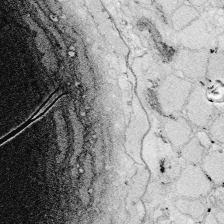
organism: Zebrafish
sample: Whole-Brain